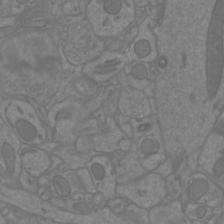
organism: Mouse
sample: Cortical neurons